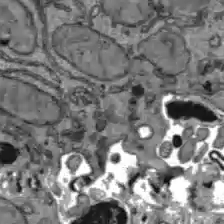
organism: C57BL Mouse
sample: Liver